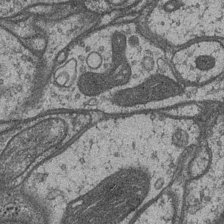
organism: Drosophila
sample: Optic medulla